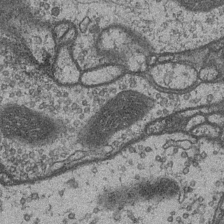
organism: Drosophila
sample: Optic medulla